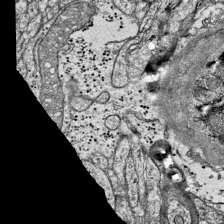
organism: Mouse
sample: Visual Cortex